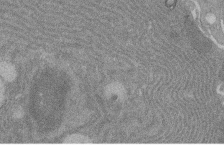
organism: Rat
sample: Salivary granule